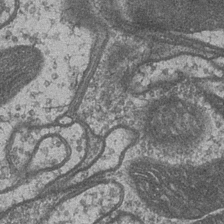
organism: Drosophila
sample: Optic medulla